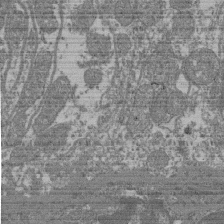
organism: Mouse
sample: Glomerulus